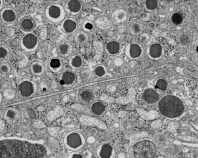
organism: C57BL Mouse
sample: Pancreatic islet